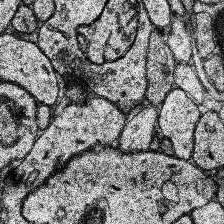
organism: Human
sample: Temporal Lobe